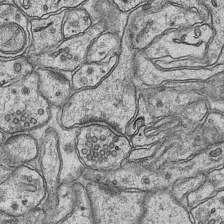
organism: Mouse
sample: CA1 Hippocampus